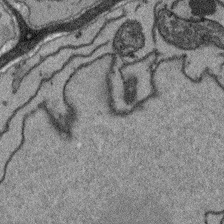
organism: Arabidopsis thaliana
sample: Root tip